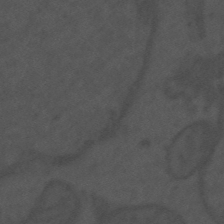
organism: Mouse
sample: Suprachiasmatic nucleus